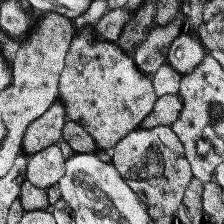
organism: Human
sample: Temporal Lobe